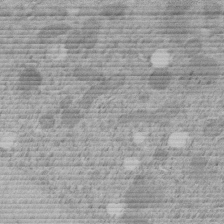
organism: C. elegans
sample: C. elegans embryo early stage